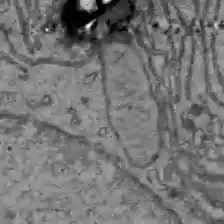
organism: C57BL Mouse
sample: Liver